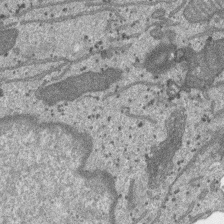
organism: Human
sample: Lung epithelial cells infected with SARS-CoV-2